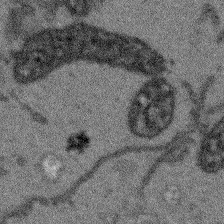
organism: Arabidopsis thaliana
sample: Root tip